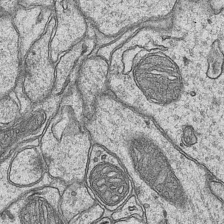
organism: Mouse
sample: CA1 Hippocampus